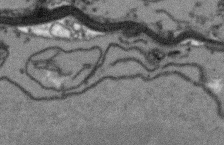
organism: Arabidopsis thaliana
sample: Root tip